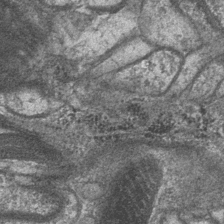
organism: Drosophila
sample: Optic medulla